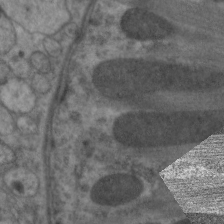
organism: C. elegans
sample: Pharynx